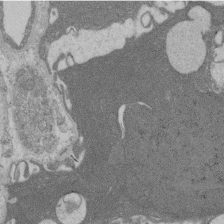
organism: Rat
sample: Salivary granule